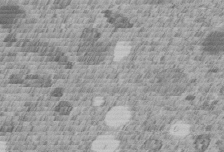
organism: C. elegans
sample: C. elegans embryo early stage